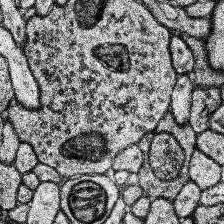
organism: Human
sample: Temporal Lobe